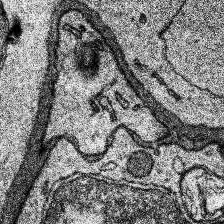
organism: Human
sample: Temporal Lobe